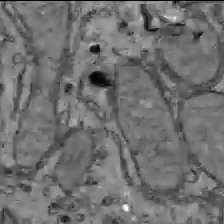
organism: C57BL Mouse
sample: Liver